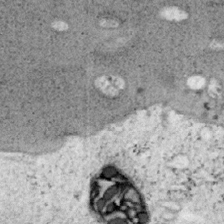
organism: Mouse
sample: OT-I killer T cells with ID8 ovarian cancer cells